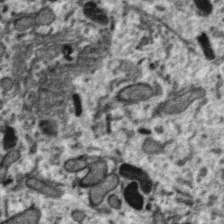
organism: Zebra finch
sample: Brain